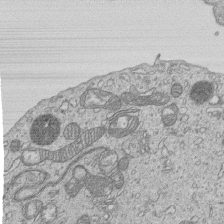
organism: Human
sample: MDA-MB-231 cells